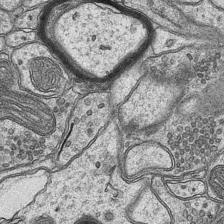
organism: Mouse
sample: CA1 Hippocampus